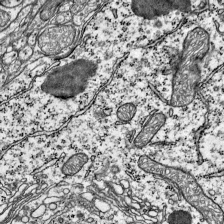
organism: Mouse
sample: Visual Cortex